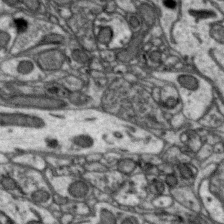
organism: Zebra finch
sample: Brain